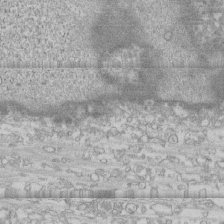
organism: Human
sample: CRL-1474